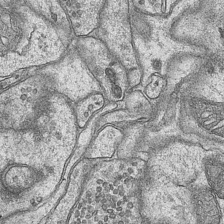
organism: Mouse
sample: CA1 Hippocampus